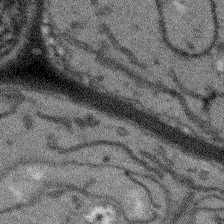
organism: Arabidopsis thaliana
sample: Root tip